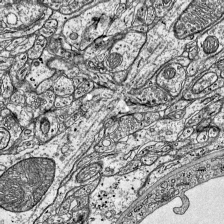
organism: Mouse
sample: Visual Cortex